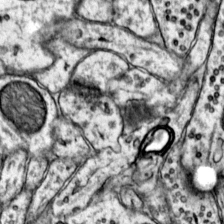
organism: Mouse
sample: Primary visual cortex